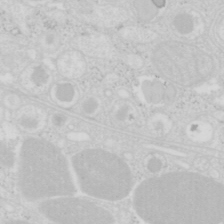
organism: Mouse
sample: Pancreas